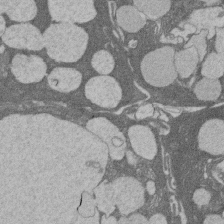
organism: Rat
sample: Salivary granule